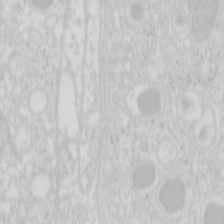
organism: Mouse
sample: Pancreas